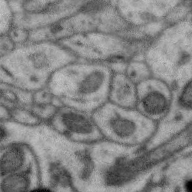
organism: Zebra finch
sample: Brain